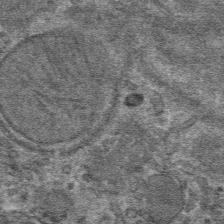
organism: Mouse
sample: Mouse hepatocytes